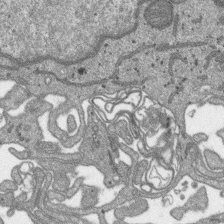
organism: Human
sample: Lung epithelial cells infected with SARS-CoV-2